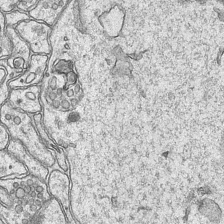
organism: Mouse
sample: CA1 Hippocampus